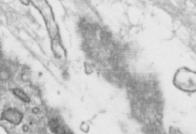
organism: Toxoplasma gondii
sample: Parasites in a vacuole inside a host cell